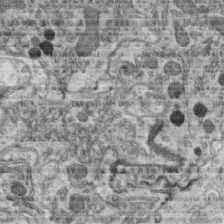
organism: C. elegans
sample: C. elegans oocyte; sperm cells